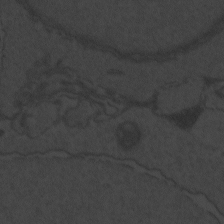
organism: Zebrafish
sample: Macrophage infected with Toxoplasma gondii